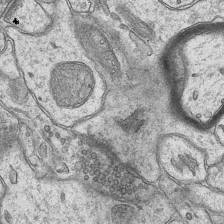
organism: Mouse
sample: CA1 Hippocampus